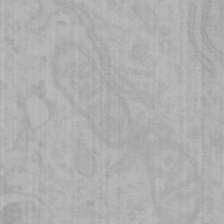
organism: Mouse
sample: Choroid plexus